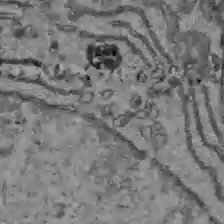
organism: C57BL Mouse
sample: Liver